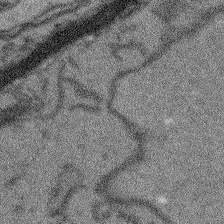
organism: Arabidopsis thaliana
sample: Root tip